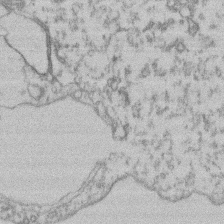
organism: Mouse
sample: T cell stromal cell synapse